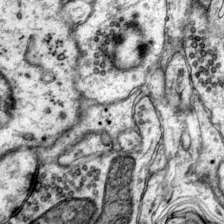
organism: Mouse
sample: Primary visual cortex